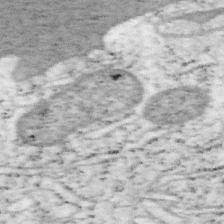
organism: Mouse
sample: OT-I killer T cells with ID8 ovarian cancer cells